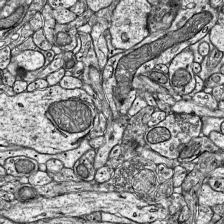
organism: Mouse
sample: Visual Cortex